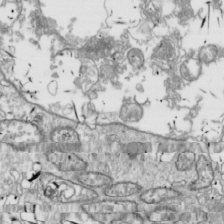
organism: Drosophila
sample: Cell division; meiosis; drosophila spermatocytes